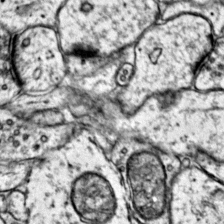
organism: Mouse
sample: Primary visual cortex